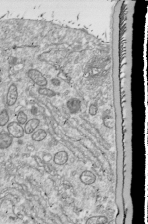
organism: Drosophila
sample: Cell division; meiosis; drosophila spermatocytes